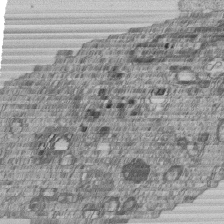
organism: Human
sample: MDA-MB-231 cells